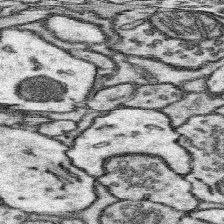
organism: Mouse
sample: Somatosensory cortex neuropil